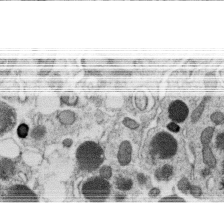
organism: C. elegans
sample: C. elegans oocyte; sperm cells